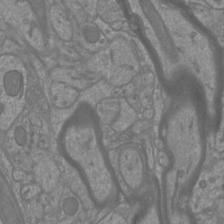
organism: Mouse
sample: Cortical neurons